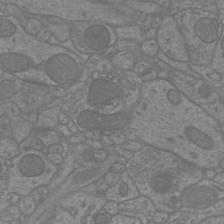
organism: Mouse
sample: Cortical neurons